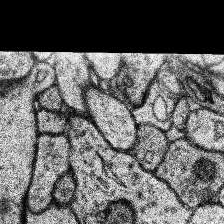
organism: Human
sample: Temporal Lobe